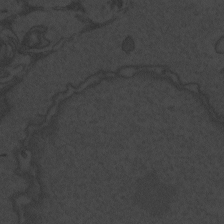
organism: Zebrafish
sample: Macrophage infected with Toxoplasma gondii